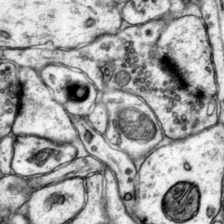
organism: Mouse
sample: Primary visual cortex